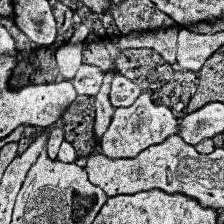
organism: Human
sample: Temporal Lobe